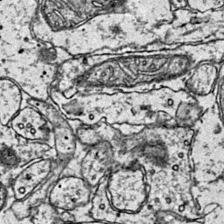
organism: Mouse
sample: Primary visual cortex